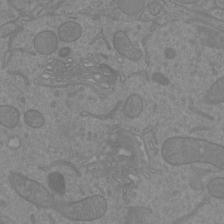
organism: Mouse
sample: Cortical neurons